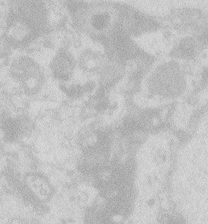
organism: Zebrafish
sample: Macrophage